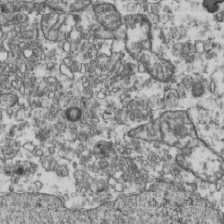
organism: Human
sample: Activated Jurkat CD4+ T cells